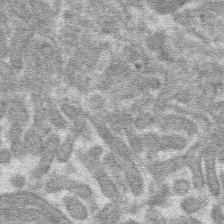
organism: Mouse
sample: Mouse hepatocytes